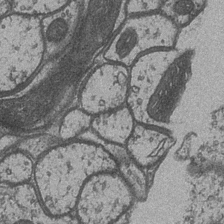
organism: Drosophila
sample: Optic medulla